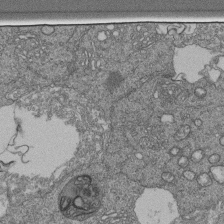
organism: Human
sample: Retinal organoid Rod and Cone cells